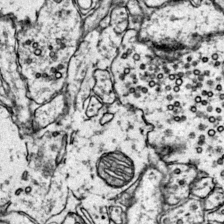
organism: Mouse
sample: Primary visual cortex